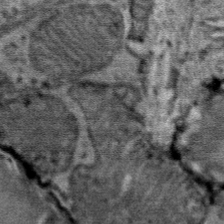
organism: Mouse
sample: Mouse Salivary gland